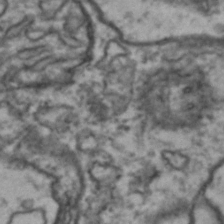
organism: Drosophila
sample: Brain